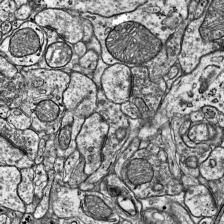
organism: Mouse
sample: Visual Cortex